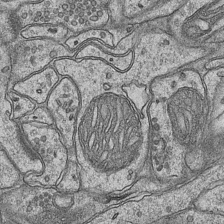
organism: Mouse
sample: CA1 Hippocampus